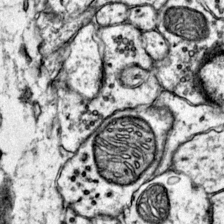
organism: Mouse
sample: Primary visual cortex